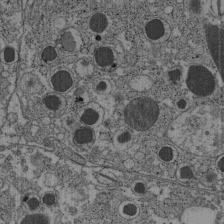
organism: C57BL Mouse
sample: Pancreatic islet